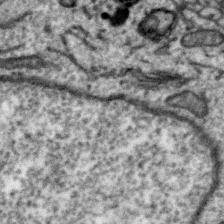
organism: Zebra finch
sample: Brain